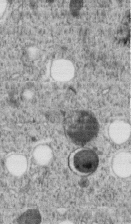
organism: C. elegans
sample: C. elegans embryo early stage